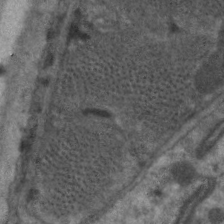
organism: C. elegans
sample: Pharynx